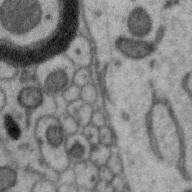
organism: Zebra finch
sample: Brain